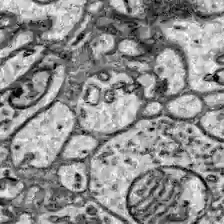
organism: Zebrafish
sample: Brain